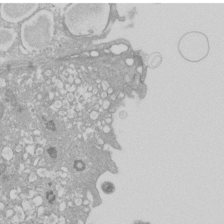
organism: Xenopus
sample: Cilia; centrioles in frog embryo cells